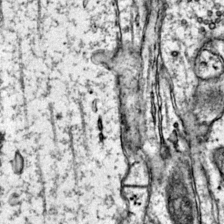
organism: Mouse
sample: Primary visual cortex